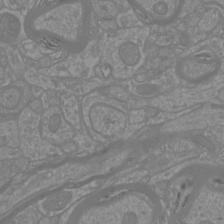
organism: Mouse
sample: Cortical neurons